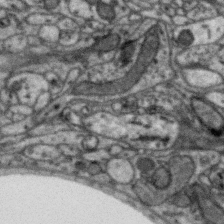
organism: Zebra finch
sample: Brain